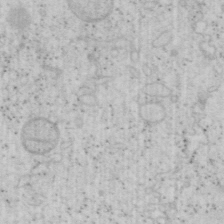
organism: Human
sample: HeLa cells